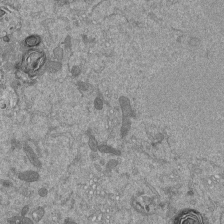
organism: Mouse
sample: ED-1 cell nuclei; centrioles